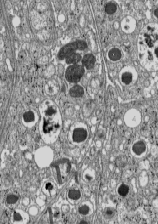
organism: C57BL Mouse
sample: Pancreatic islet